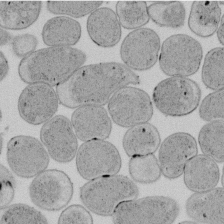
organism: E. coli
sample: Bacterial nucleoid